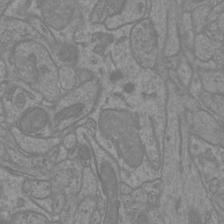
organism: Mouse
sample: Cortical neurons